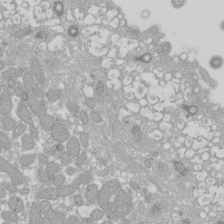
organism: Xenopus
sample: Cilia; centrioles in frog embryo cells